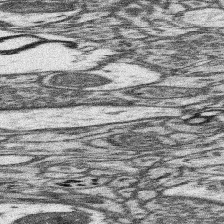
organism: Mouse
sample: Somatosensory cortex neuropil